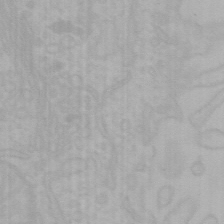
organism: Mouse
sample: Choroid plexus